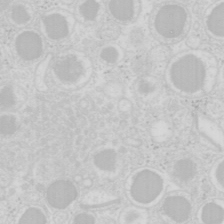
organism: Mouse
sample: Pancreas